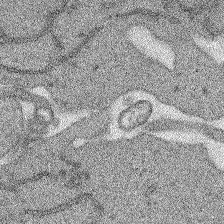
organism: Human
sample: HeLa cells